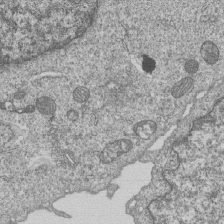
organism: Human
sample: MDA-MB-231 cells